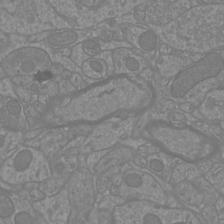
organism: Mouse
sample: Cortical neurons